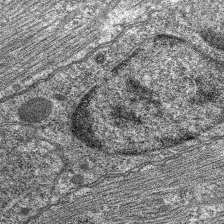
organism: C. elegans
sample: Pharynx